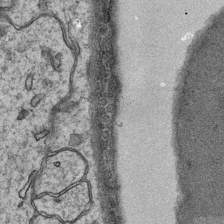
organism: Mouse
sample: CA1 Hippocampus